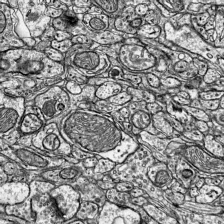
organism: Mouse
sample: Visual Cortex